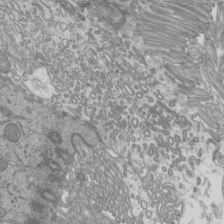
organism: Mouse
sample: Cilia; mouse epididymis